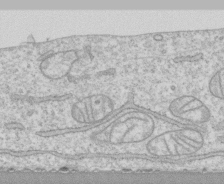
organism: Human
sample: CRL-1474